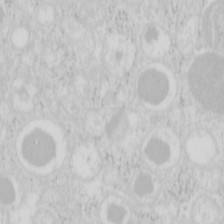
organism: Mouse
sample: Pancreas